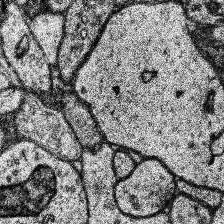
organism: Human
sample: Temporal Lobe